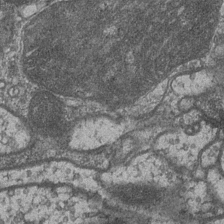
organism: Drosophila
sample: Optic medulla